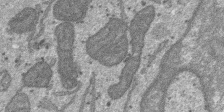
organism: Human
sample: Lung epithelial cells infected with SARS-CoV-2